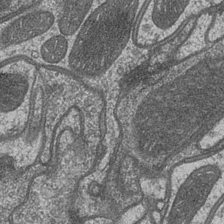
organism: Drosophila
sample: Optic medulla